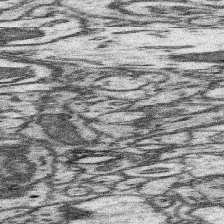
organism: Mouse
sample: Somatosensory cortex neuropil